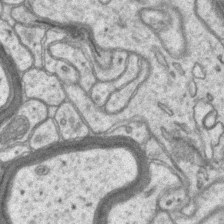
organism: Mouse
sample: CA1 Hippocampus